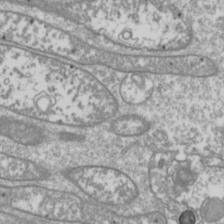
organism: Drosophila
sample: Cell division; meiosis; drosophila spermatocytes